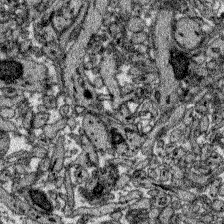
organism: Zebrafish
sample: Larval olfactory bulb